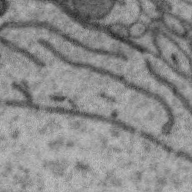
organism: Zebra finch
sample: Brain